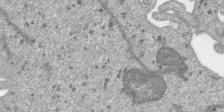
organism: Human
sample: Lung epithelial cells infected with SARS-CoV-2